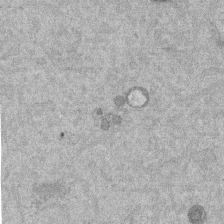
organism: Mouse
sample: Dividing mouse embryo 1 cell stage